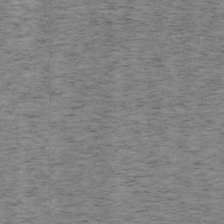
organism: Mouse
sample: OT-I killer T cells with ID8 ovarian cancer cells